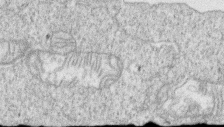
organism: Human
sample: HeLa cell HIV synapse